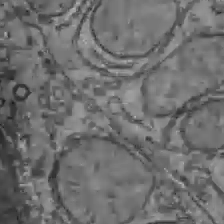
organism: C57BL Mouse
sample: Liver